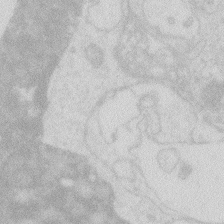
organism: Zebrafish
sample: Macrophage